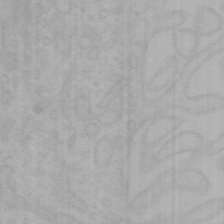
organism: Mouse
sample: Choroid plexus